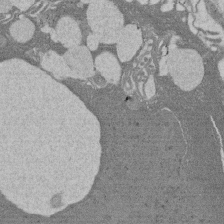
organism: Rat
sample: Salivary granule